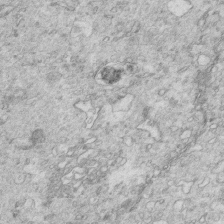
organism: Mouse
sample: Multiciliated cells